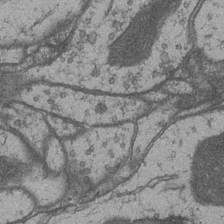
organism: Drosophila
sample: Optic medulla